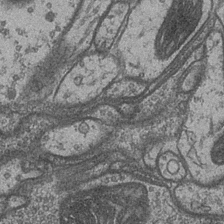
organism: Drosophila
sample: Optic medulla